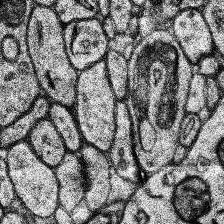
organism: Human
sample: Temporal Lobe